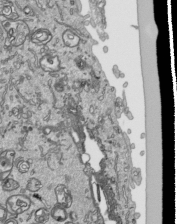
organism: Human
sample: Mitochondria in HCT116 cells